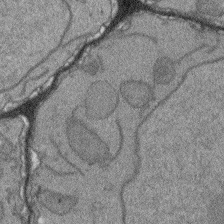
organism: Arabidopsis thaliana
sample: Root tip